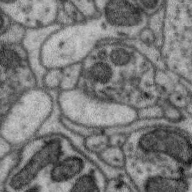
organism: Zebra finch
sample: Brain